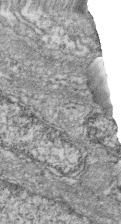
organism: Zebrafish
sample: Cilia; retinal pigment epithelium